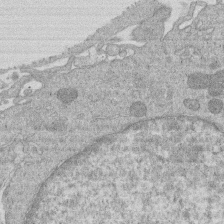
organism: Human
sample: Macrophage cells